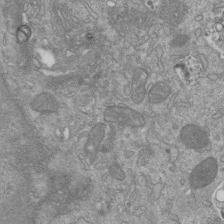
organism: Mouse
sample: ED-1 cell nuclei; centrioles